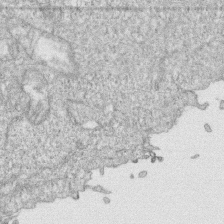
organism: Human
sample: HeLa cell HIV synapse